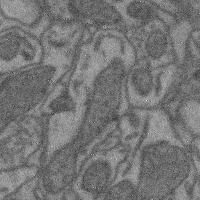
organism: Mouse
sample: Cerebral cortex